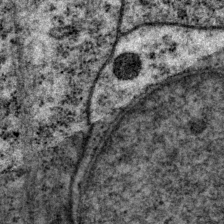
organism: P. pacificus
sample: Pharynx